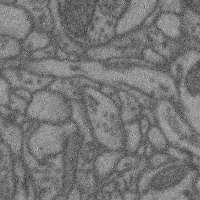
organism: Mouse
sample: Cerebral cortex